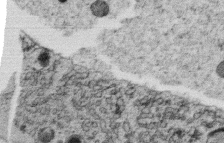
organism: C. elegans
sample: C. elegans oocyte; sperm cells